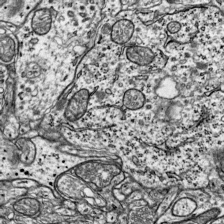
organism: Mouse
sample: Visual Cortex